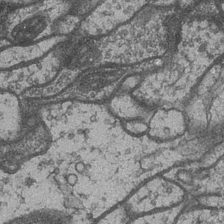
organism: Drosophila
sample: Optic medulla